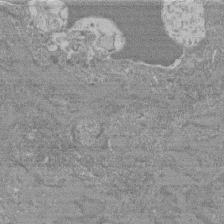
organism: Mouse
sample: Glomerulus